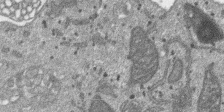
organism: Human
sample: Lung epithelial cells infected with SARS-CoV-2